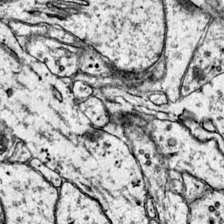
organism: Mouse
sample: Primary visual cortex